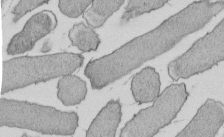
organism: E. coli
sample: Bacterial nucleoid